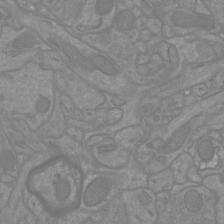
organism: Mouse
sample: Cortical neurons